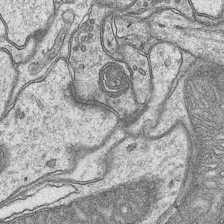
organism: Mouse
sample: CA1 Hippocampus